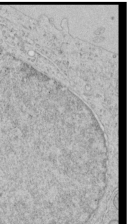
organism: Human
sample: Mitochondria in HCT116 cells